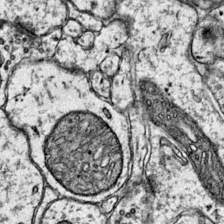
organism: Mouse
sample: Primary visual cortex